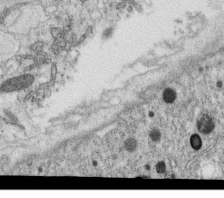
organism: C. elegans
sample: C. elegans oocyte; sperm cells